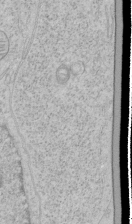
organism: Human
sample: Mitochondria in HCT116 cells